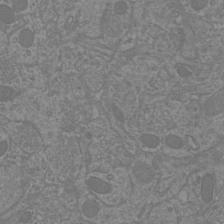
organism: Mouse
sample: Cortical neurons